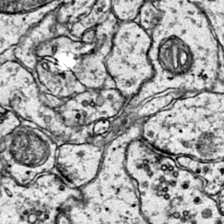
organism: Mouse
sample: Primary visual cortex